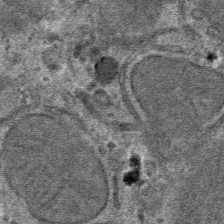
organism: Mouse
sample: Mouse hepatocytes